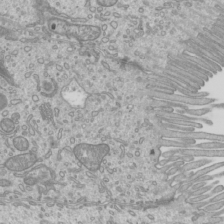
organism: Mouse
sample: Cilia; mouse epididymis